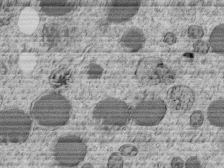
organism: C. elegans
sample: C. elegans embryo early stage